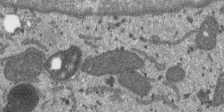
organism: Human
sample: Lung epithelial cells infected with SARS-CoV-2